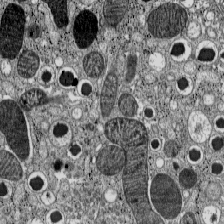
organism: C57BL Mouse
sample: Pancreatic islet